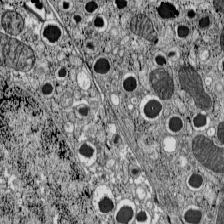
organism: C57BL Mouse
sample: Pancreatic islet